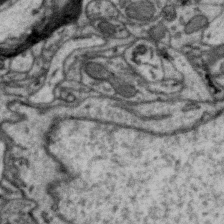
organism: Zebra finch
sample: Brain